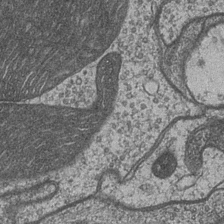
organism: Drosophila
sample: Optic medulla